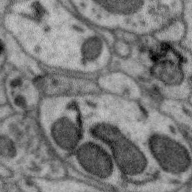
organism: Zebra finch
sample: Brain